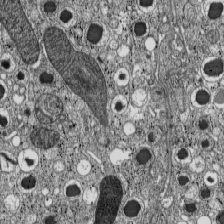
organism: C57BL Mouse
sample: Pancreatic islet